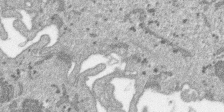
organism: Human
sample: Lung epithelial cells infected with SARS-CoV-2